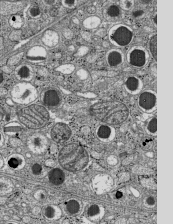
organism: C57BL Mouse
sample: Pancreatic islet